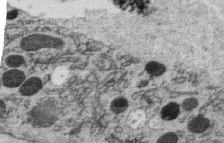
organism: C. elegans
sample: C. elegans oocyte; sperm cells